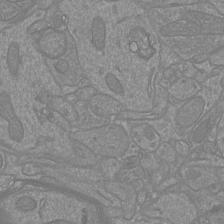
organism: Mouse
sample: Cortical neurons